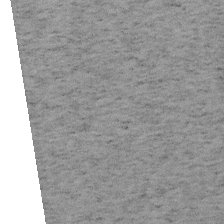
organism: Mouse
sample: OT-I killer T cells with ID8 ovarian cancer cells